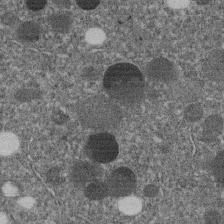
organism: C. elegans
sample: C. elegans embryo early stage